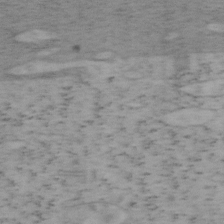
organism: Mouse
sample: OT-I killer T cells with ID8 ovarian cancer cells